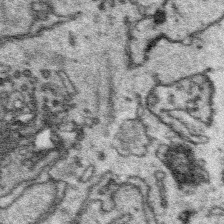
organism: Platynereis dumerilii